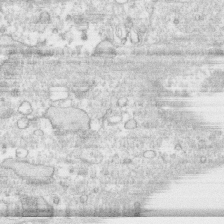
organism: Human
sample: CRL-1474